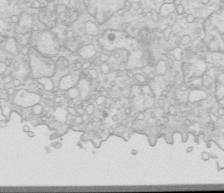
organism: Mouse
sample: Multiciliated cells